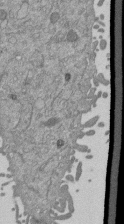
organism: Mouse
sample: ED-1 cell nuclei; centrioles